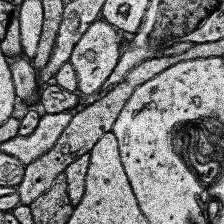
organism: Human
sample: Temporal Lobe